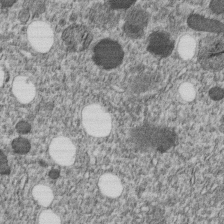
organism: C. elegans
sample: C. elegans embryo early stage